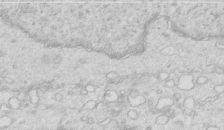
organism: Mouse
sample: Multiciliated cells